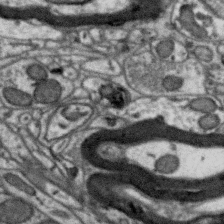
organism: Zebra finch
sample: Brain